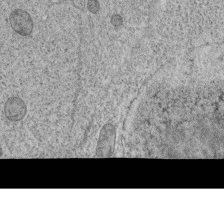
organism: C. elegans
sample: C. elegans oocyte; sperm cells